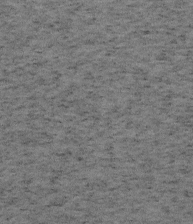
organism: Mouse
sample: OT-I killer T cells with ID8 ovarian cancer cells